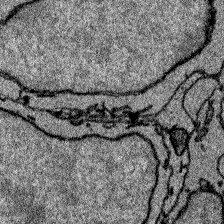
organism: Zebrafish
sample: Larval olfactory bulb